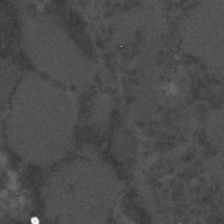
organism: C. elegans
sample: C. elegans embryo